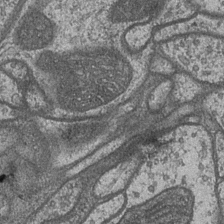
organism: Drosophila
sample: Optic medulla